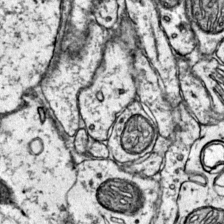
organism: Mouse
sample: Primary visual cortex